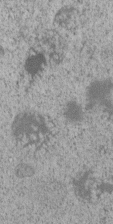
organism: C. elegans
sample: C. elegans embryo early stage